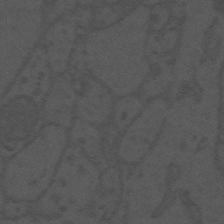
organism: Mouse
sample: Suprachiasmatic nucleus